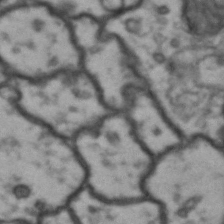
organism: Drosophila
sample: Brain